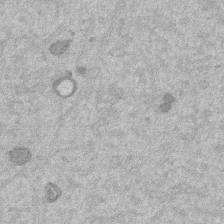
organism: Mouse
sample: Dividing mouse embryo 1 cell stage